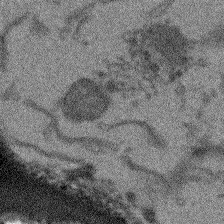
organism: Arabidopsis thaliana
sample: Root tip